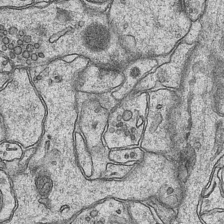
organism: Mouse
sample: CA1 Hippocampus